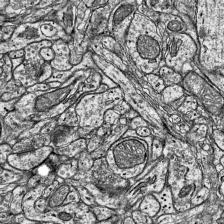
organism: Mouse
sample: Visual Cortex